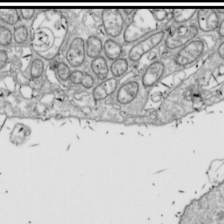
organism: Drosophila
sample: Cell division; meiosis; drosophila spermatocytes